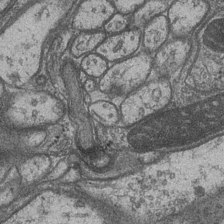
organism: Drosophila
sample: Optic medulla